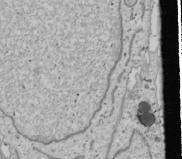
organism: Human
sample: Mitochondria in U2OS cells